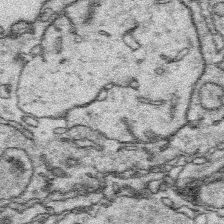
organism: Platynereis dumerilii